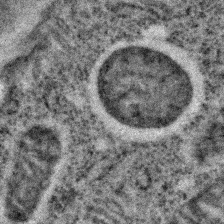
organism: C. elegans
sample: C. elegans embryo